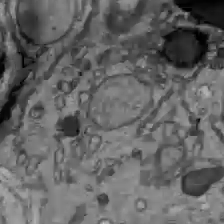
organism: C57BL Mouse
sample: Liver